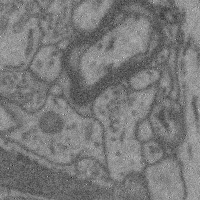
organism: Mouse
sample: Cerebral cortex